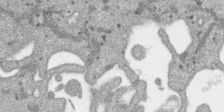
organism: Human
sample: Lung epithelial cells infected with SARS-CoV-2